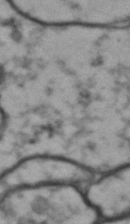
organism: Drosophila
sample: Brain